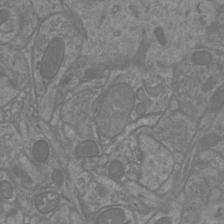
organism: Mouse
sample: Cortical neurons